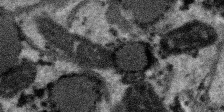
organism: Human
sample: Lung epithelial cells infected with SARS-CoV-2